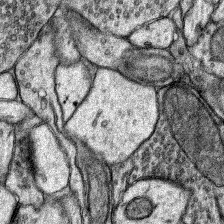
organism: Rat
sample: Hippocampus